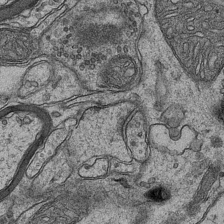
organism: Mouse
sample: CA1 Hippocampus